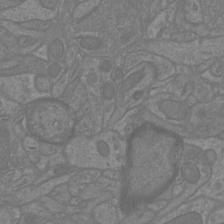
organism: Mouse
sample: Cortical neurons